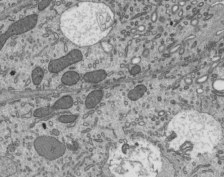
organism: Mouse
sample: Mouse epididymis efferent ductule cilia